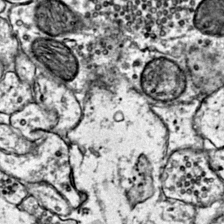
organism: Mouse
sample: Primary visual cortex